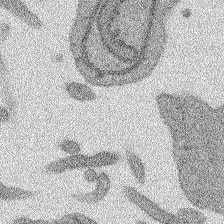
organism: Human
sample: HeLa cells